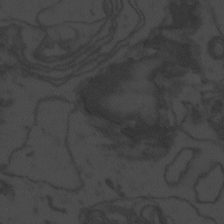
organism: Zebrafish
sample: Macrophage infected with Toxoplasma gondii